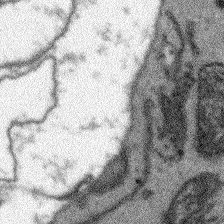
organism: Arabidopsis thaliana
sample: Root tip